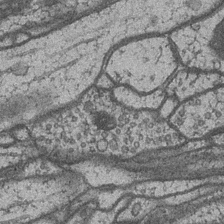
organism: Drosophila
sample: Optic medulla